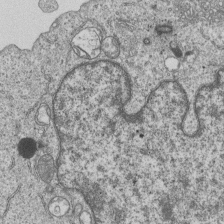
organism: Human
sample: MDA-MB-231 cells